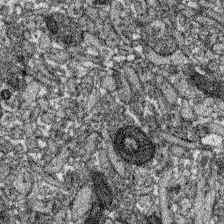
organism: Zebrafish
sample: Larval olfactory bulb